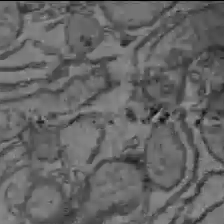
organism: C57BL Mouse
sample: Liver